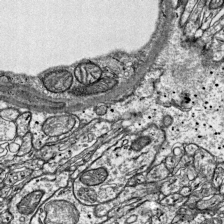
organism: Mouse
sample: Visual Cortex